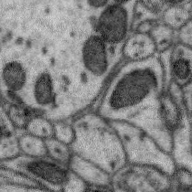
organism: Zebra finch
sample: Brain